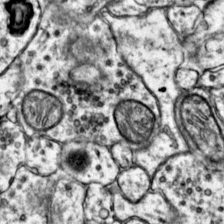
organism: Mouse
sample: Primary visual cortex